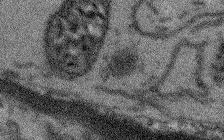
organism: Arabidopsis thaliana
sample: Root tip